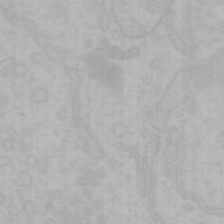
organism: Mouse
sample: Choroid plexus